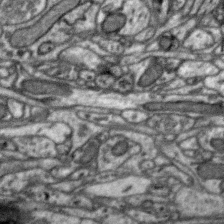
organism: Zebra finch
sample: Brain